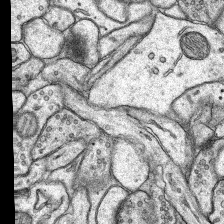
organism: Rat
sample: Hippocampus